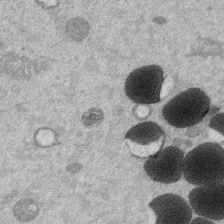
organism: Mouse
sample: Dividing mouse embryo 1 cell stage